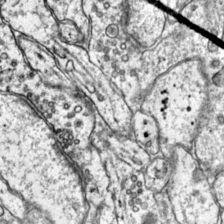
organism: Mouse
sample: Primary visual cortex